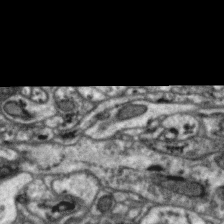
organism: Zebra finch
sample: Brain